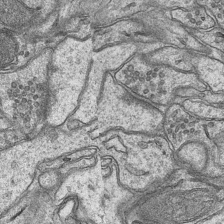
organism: Mouse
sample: CA1 Hippocampus